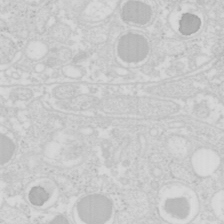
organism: Mouse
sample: Pancreas